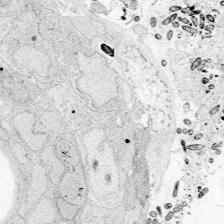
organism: Zebrafish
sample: Whole-Brain